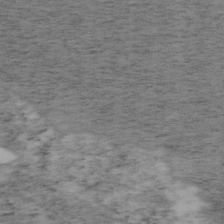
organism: Mouse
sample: OT-I killer T cells with ID8 ovarian cancer cells